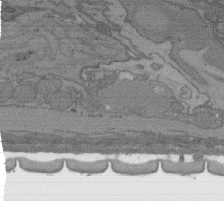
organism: C. elegans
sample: AFD neurons C. elegans